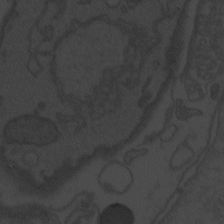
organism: Zebrafish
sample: Macrophage infected with Toxoplasma gondii